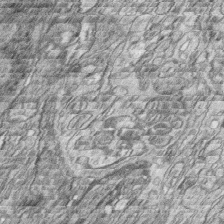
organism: Zebrafish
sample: synaptic ribbons in rod cells and cone cells